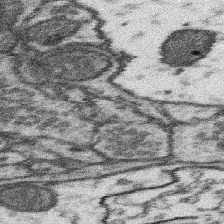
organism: Mouse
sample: Somatosensory cortex neuropil